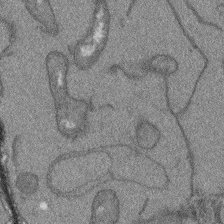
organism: Arabidopsis thaliana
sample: Root tip